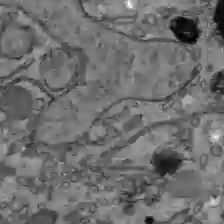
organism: C57BL Mouse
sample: Liver